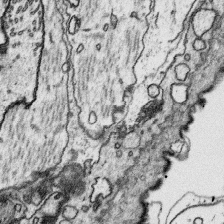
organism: Platynereis dumerilii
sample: Parapodia